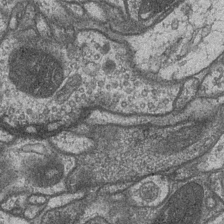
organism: Drosophila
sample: Optic medulla